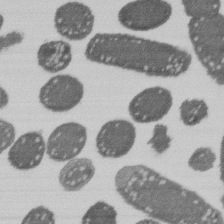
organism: E. coli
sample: Bacterial nucleoid